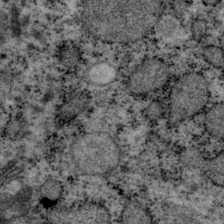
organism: P. pacificus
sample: Pharynx